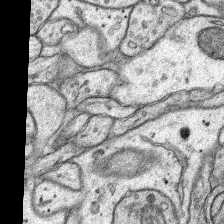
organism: Rat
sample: Hippocampus